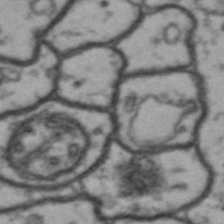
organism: Drosophila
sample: Brain